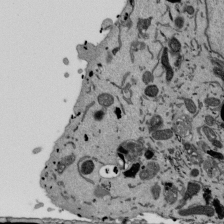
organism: Mouse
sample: ED-1 cell nuclei; centrioles